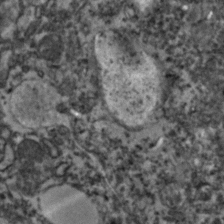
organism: Zebrafish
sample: Zebrafish embryo